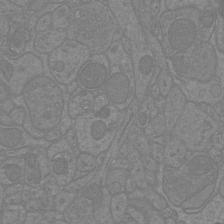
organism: Mouse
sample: Cortical neurons